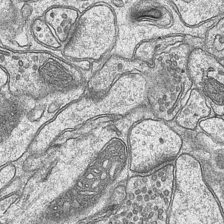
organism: Mouse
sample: CA1 Hippocampus